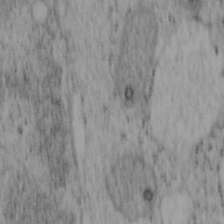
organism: Mouse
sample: OT-I killer T cells with ID8 ovarian cancer cells